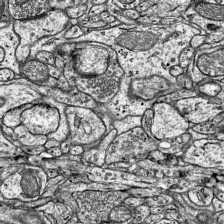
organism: Mouse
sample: Visual Cortex